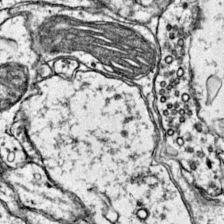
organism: Mouse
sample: Primary visual cortex